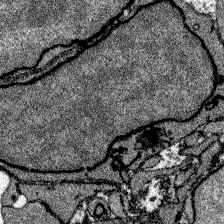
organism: Zebrafish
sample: Larval olfactory bulb